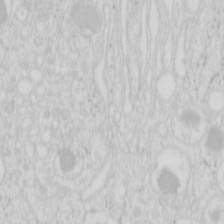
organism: Mouse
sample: Pancreas